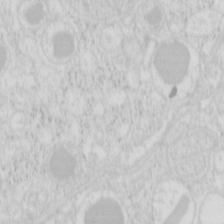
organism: Mouse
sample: Pancreas